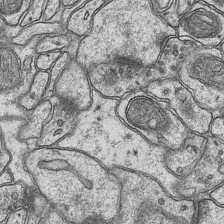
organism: Mouse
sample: CA1 Hippocampus